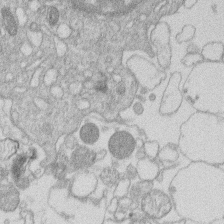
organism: Human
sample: Macrophage cells